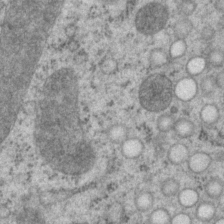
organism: P. pacificus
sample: Pharynx